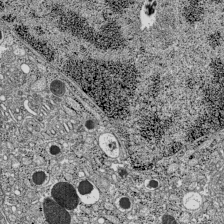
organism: C57BL Mouse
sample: Pancreatic islet